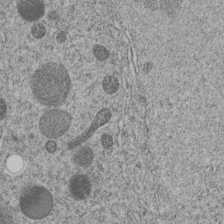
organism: C. elegans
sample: C. elegans embryo early stage